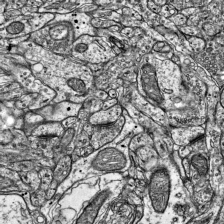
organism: Mouse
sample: Visual Cortex